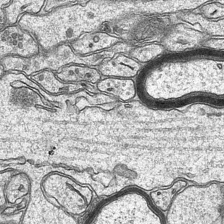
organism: Mouse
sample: CA1 Hippocampus